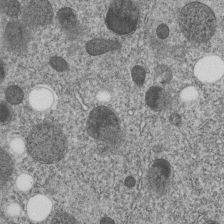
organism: C. elegans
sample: C. elegans embryo early stage